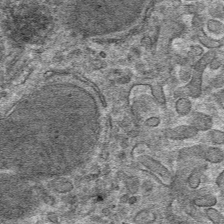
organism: Mouse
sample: Mouse hepatocytes